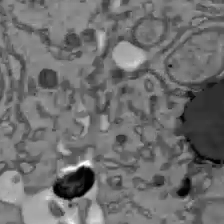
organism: C57BL Mouse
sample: Liver